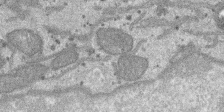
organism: Human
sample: Lung epithelial cells infected with SARS-CoV-2